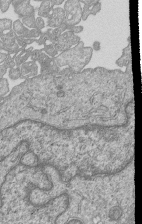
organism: Human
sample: MDA-MB-231 cells